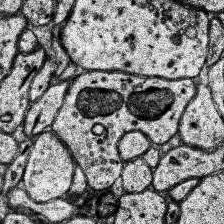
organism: Human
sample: Temporal Lobe